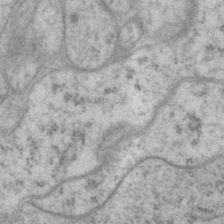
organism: P. pacificus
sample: Pharynx